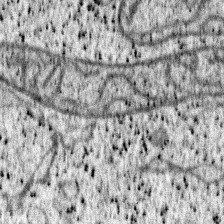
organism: Human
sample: HeLa cells